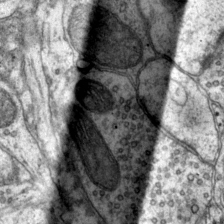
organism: Mouse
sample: Primary visual cortex